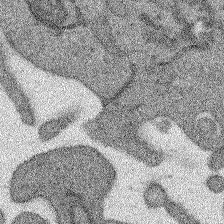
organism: Human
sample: HeLa cells